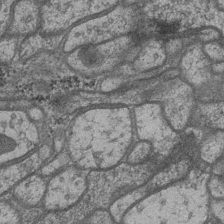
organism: Drosophila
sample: Optic medulla